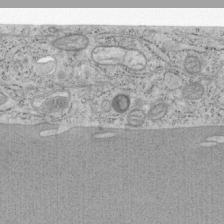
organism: Human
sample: HeLa cells